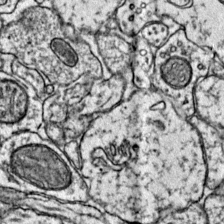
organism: Mouse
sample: Primary visual cortex